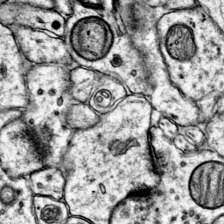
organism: Mouse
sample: Primary visual cortex